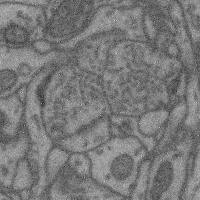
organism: Mouse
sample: Cerebral cortex